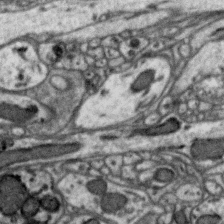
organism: Zebra finch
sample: Brain